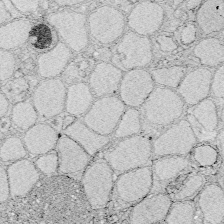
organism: Zebrafish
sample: Whole-Brain